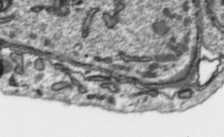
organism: Toxoplasma gondii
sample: Parasites in a vacuole inside a host cell